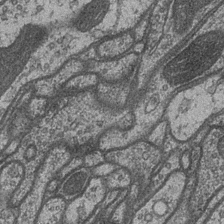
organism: Drosophila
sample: Optic medulla